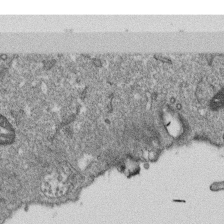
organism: African green monkey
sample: Vero E6 cells infected with SARS-CoV-2